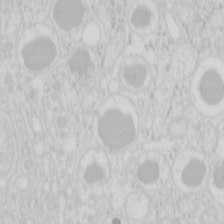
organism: Mouse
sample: Pancreas